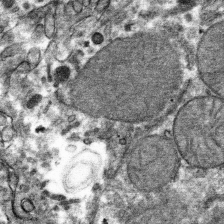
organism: Mouse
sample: Mouse hepatocytes